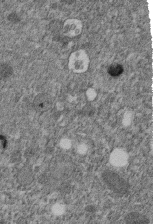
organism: C. elegans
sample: C. elegans embryo early stage